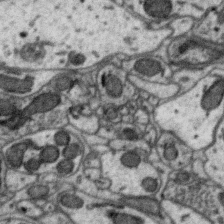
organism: Zebra finch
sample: Brain